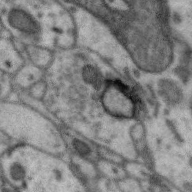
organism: Zebra finch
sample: Brain